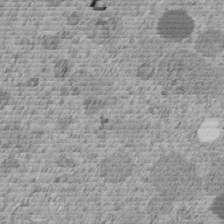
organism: C. elegans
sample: C. elegans embryo early stage